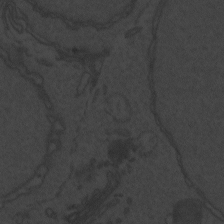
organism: Zebrafish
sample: Macrophage infected with Toxoplasma gondii